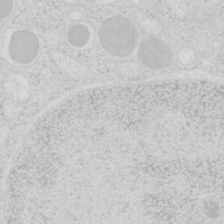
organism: Mouse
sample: Pancreas